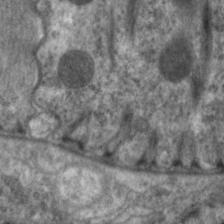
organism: C. elegans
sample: Pharynx